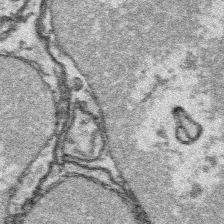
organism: Platynereis dumerilii